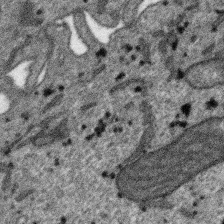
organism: Human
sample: Lung epithelial cells infected with SARS-CoV-2